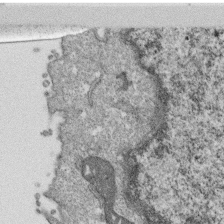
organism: African green monkey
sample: Vero E6 cells infected with SARS-CoV-2